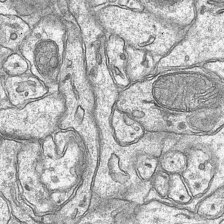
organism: Mouse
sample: CA1 Hippocampus